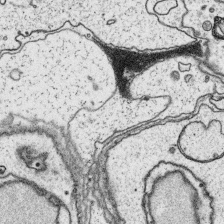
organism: Platynereis dumerilii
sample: Parapodia